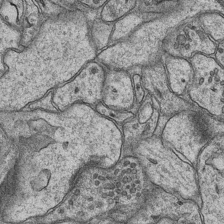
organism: Mouse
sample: CA1 Hippocampus